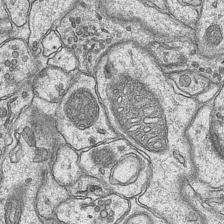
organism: Mouse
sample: CA1 Hippocampus